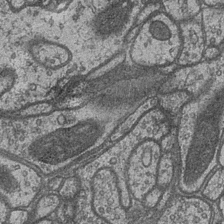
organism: Drosophila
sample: Optic medulla